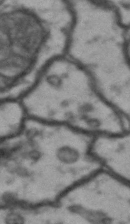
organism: Drosophila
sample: Brain